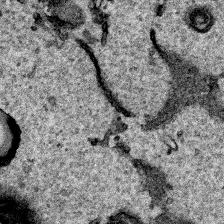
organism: Human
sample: Mitochondria in HCT116 cells